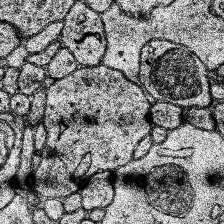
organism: Human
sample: Temporal Lobe